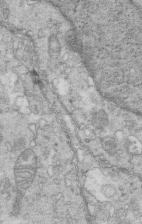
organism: Mouse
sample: Multiciliated cells